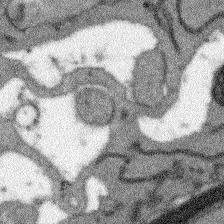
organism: Arabidopsis thaliana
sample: Root tip